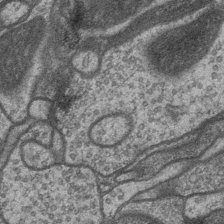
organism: Drosophila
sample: Optic medulla